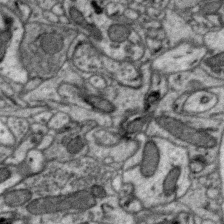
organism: Zebra finch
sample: Brain